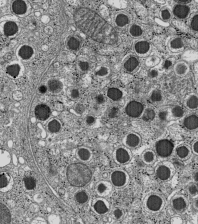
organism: C57BL Mouse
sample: Pancreatic islet